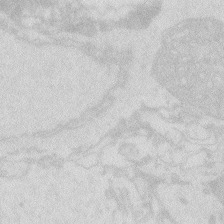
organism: Zebrafish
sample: Macrophage